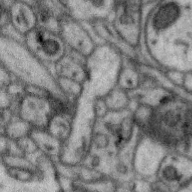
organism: Zebra finch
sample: Brain